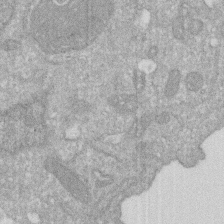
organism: Human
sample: HIV infected U937 cells